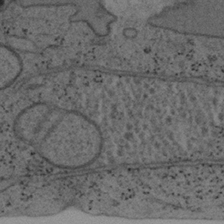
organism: Human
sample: HeLa cells